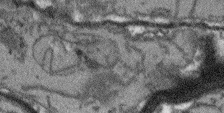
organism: Arabidopsis thaliana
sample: Root tip